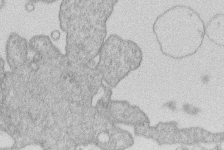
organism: Human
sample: Macrophage cells